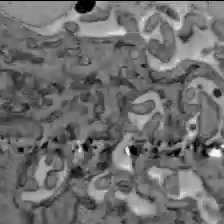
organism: C57BL Mouse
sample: Liver